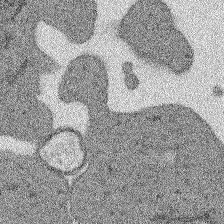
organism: Human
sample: HeLa cells